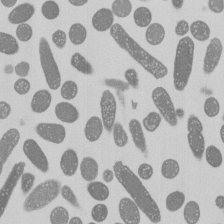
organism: E. coli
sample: Bacterial nucleoid